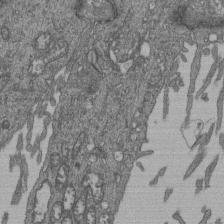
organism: Human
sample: Retinal organoid Rod and Cone cells